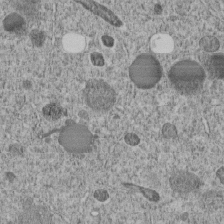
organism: C. elegans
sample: C. elegans embryo early stage